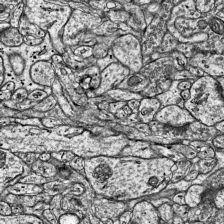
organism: Mouse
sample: Visual Cortex